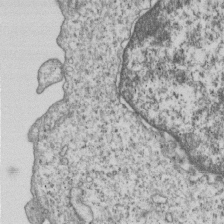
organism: Human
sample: MDA-MB-231 cells